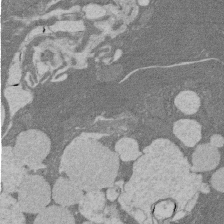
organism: Rat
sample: Salivary granule